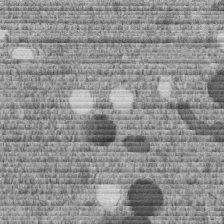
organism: C. elegans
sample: C. elegans embryo early stage